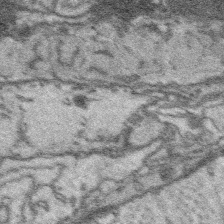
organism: Platynereis dumerilii